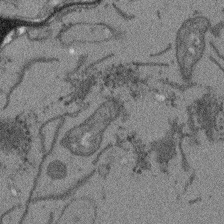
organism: Arabidopsis thaliana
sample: Root tip